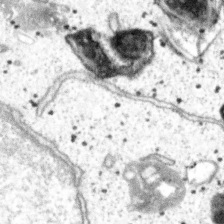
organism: Human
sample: HeLa cells